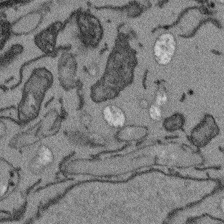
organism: Arabidopsis thaliana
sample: Root tip